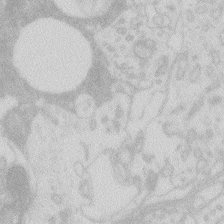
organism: Zebrafish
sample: Macrophage